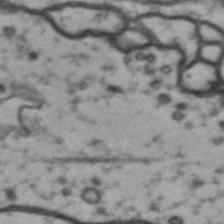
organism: Drosophila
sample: Brain